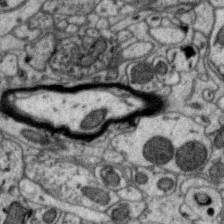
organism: Zebra finch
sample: Brain